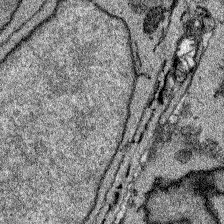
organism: Zebrafish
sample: Larval olfactory bulb